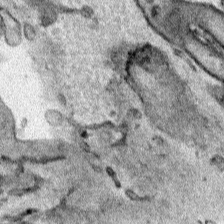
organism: Human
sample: Mitochondria in HCT116 cells